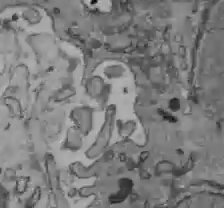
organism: C57BL Mouse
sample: Liver